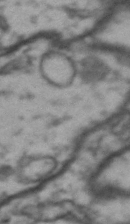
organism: Drosophila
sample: Brain